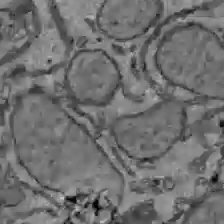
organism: C57BL Mouse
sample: Liver